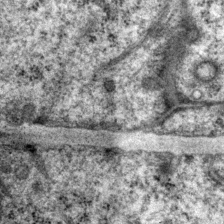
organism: P. pacificus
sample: Pharynx